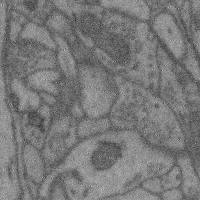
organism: Mouse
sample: Cerebral cortex